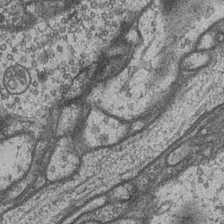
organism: Drosophila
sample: Optic medulla